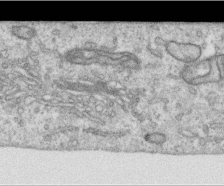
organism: Human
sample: Centriole in RPE cells